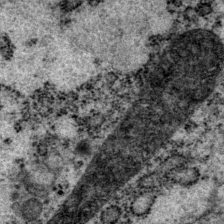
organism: P. pacificus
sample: Pharynx